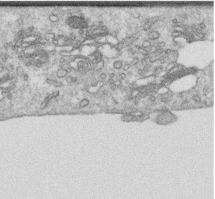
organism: Human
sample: Centriole in RPE cells